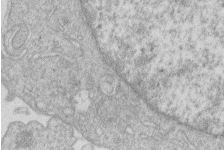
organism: Human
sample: Macrophage cells